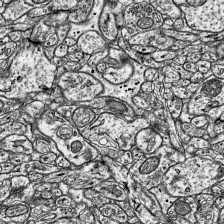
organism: Mouse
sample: Visual Cortex